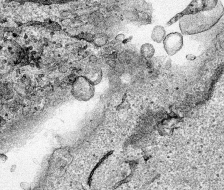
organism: Human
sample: Mitochondria in HCT116 cells